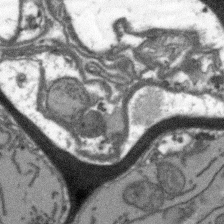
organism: Arabidopsis thaliana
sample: Root tip